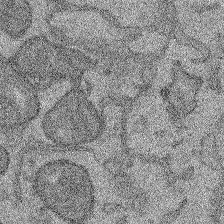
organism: Human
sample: HeLa cells